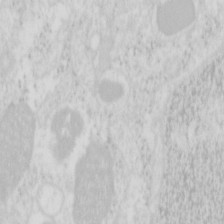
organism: Mouse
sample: Pancreas